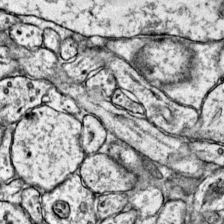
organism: Mouse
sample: Primary visual cortex